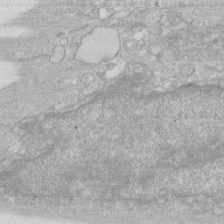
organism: Human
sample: Fibroblast cells